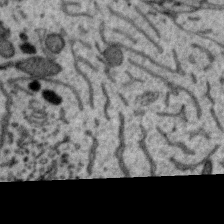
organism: Zebra finch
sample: Brain